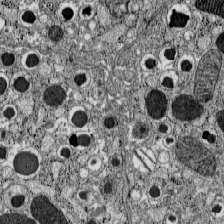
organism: C57BL Mouse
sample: Pancreatic islet